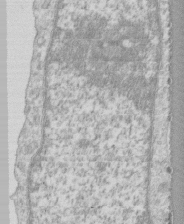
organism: Human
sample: CRL-1474